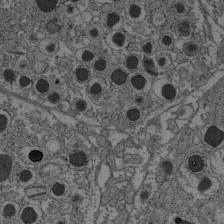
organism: C57BL Mouse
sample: Pancreatic islet